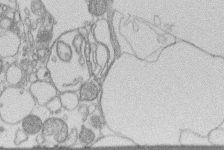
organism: Human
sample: Macrophage cells